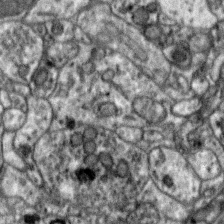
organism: Zebra finch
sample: Brain